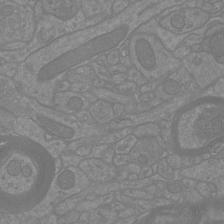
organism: Mouse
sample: Cortical neurons